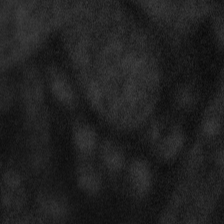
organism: Tuwongella immobilis